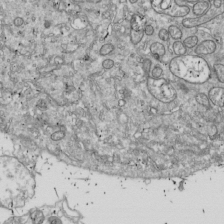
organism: Drosophila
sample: Cell division; meiosis; drosophila spermatocytes